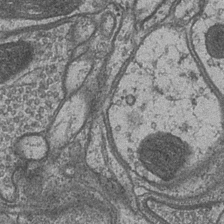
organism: Drosophila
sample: Optic medulla